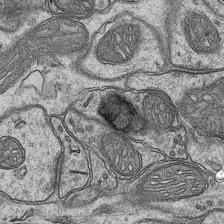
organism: Mouse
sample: CA1 Hippocampus